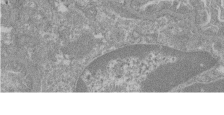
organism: Mouse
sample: Glomerulus